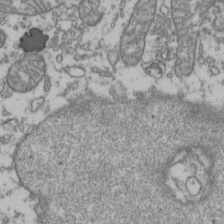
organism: Human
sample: Activated Jurkat CD4+ T cells